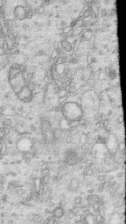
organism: Human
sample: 1205lu cells